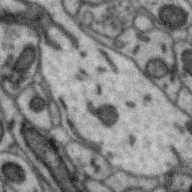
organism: Zebra finch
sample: Brain